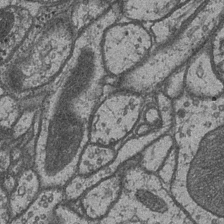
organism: Drosophila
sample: Optic medulla